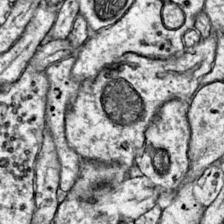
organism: Mouse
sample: Primary visual cortex